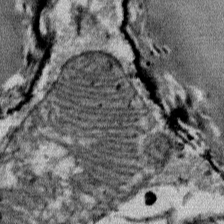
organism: Mouse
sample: Mouse Salivary gland